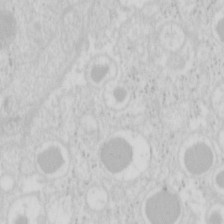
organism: Mouse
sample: Pancreas